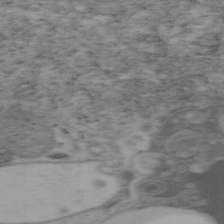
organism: Mouse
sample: OT-I killer T cells with ID8 ovarian cancer cells